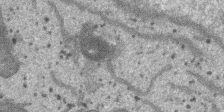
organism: Human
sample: Lung epithelial cells infected with SARS-CoV-2